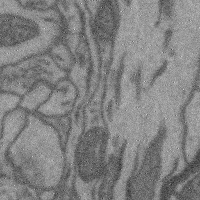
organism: Mouse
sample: Cerebral cortex